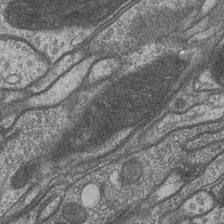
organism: Drosophila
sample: Optic medulla